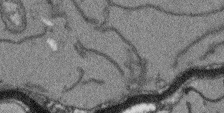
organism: Arabidopsis thaliana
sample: Root tip